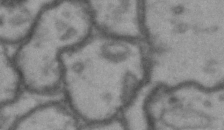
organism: Drosophila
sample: Brain